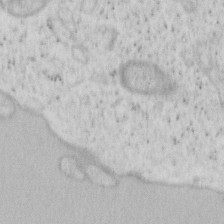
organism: Human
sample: HeLa cells